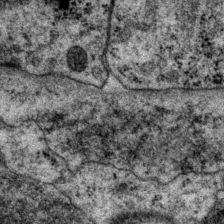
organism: P. pacificus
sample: Pharynx